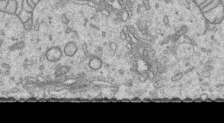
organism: Human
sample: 1205lu cells